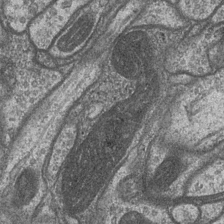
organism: Drosophila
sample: Optic medulla